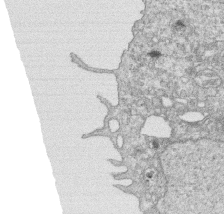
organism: Human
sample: HeLa cell HIV synapse